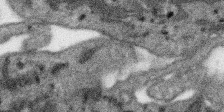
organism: Human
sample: Lung epithelial cells infected with SARS-CoV-2